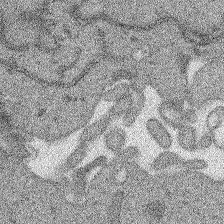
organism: Human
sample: HeLa cells